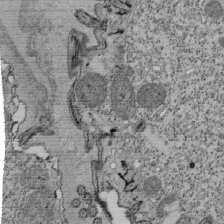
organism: Tetrahymena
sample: Cilia in tetrahymena